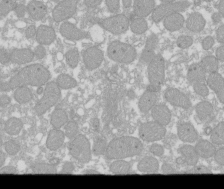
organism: Xenopus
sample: Cilia; centrioles in frog embryo cells